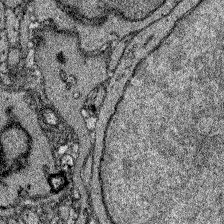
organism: Zebrafish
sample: Larval olfactory bulb